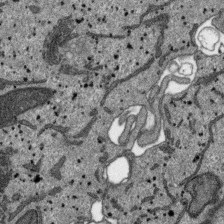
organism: Human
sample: Lung epithelial cells, uninfected (mock) control